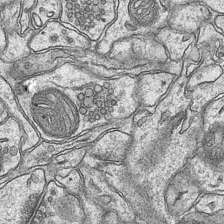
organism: Mouse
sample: CA1 Hippocampus